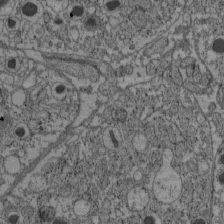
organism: C57BL Mouse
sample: Pancreatic islet